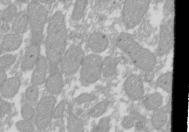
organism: Xenopus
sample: Cilia; centrioles in frog embryo cells